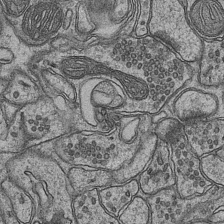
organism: Mouse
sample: CA1 Hippocampus